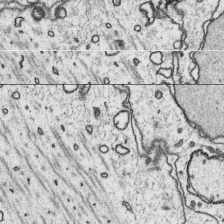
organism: Platynereis dumerilii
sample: Parapodia